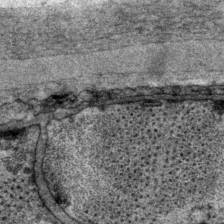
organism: P. pacificus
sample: Pharynx